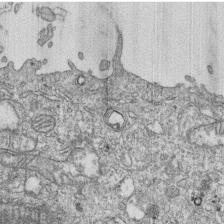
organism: Human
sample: HeLa cell HIV synapse